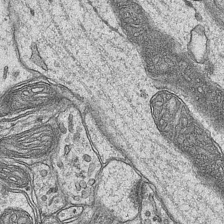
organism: Mouse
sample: CA1 Hippocampus